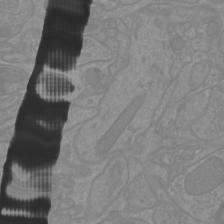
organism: Mouse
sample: Cortical neurons